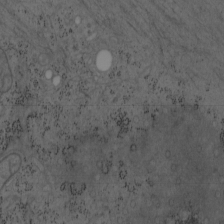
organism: Mouse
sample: OT-I killer T cells with ID8 ovarian cancer cells